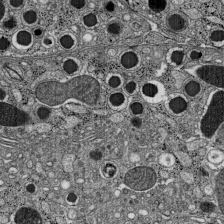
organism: C57BL Mouse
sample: Pancreatic islet